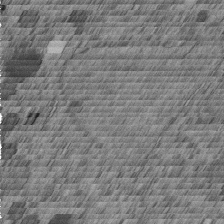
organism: C. elegans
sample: C. elegans embryo early stage